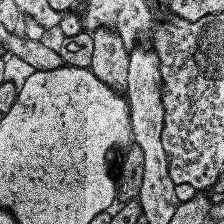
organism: Human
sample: Temporal Lobe